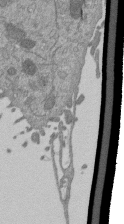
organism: Mouse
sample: ED-1 cell nuclei; centrioles